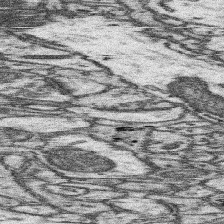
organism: Mouse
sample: Somatosensory cortex neuropil